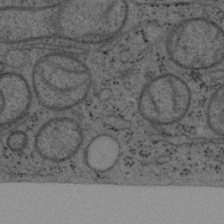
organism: Human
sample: HeLa cells